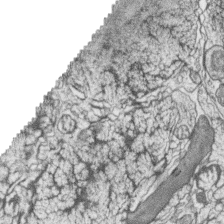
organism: Zebrafish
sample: synaptic ribbons in rod cells and cone cells